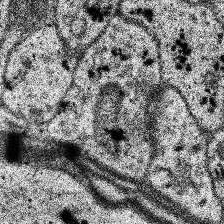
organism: Human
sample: Temporal Lobe